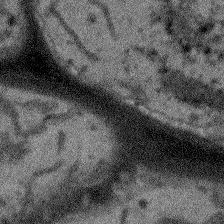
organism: Arabidopsis thaliana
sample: Root tip